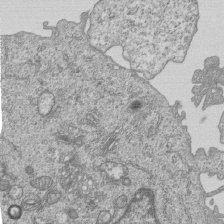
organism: Human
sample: MDA-MB-231 cells